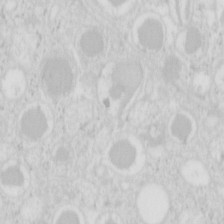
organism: Mouse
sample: Pancreas